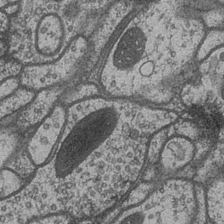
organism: Drosophila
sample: Optic medulla